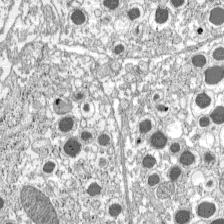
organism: C57BL Mouse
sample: Pancreatic islet